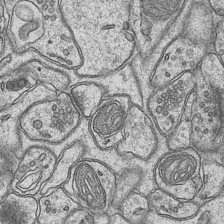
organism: Mouse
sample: CA1 Hippocampus